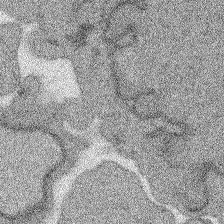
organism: Human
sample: HeLa cells